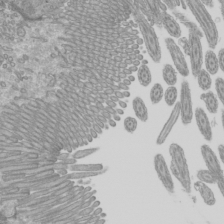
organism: Mouse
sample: Cilia; mouse epididymis